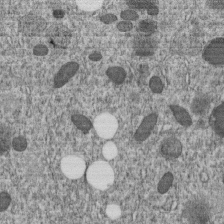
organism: C. elegans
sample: C. elegans embryo early stage